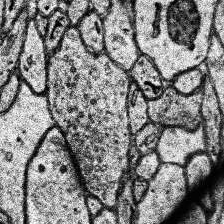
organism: Human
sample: Temporal Lobe